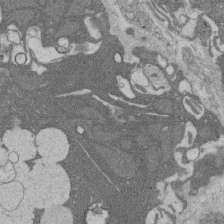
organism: Rat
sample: Salivary granule